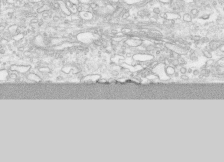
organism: Human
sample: CRL-1474